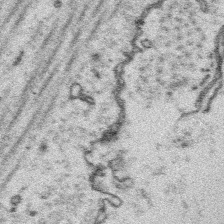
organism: Platynereis dumerilii